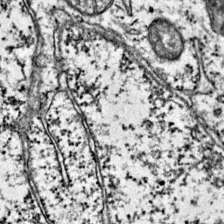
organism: Mouse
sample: Primary visual cortex